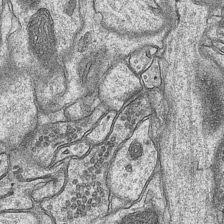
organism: Mouse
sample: CA1 Hippocampus